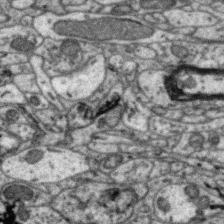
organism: Zebra finch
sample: Brain